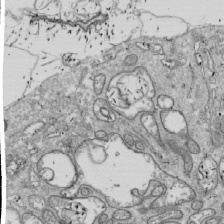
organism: Drosophila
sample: Cell division; meiosis; drosophila spermatocytes